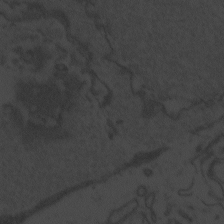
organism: Zebrafish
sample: Macrophage infected with Toxoplasma gondii